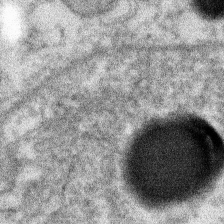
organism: Xenopus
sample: Cilia; centrioles in frog embryo cells